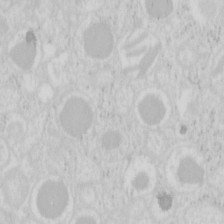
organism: Mouse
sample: Pancreas